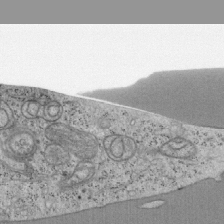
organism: Human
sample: HeLa cells